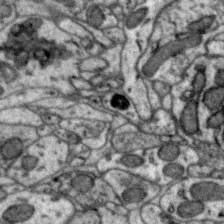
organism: Zebra finch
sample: Brain